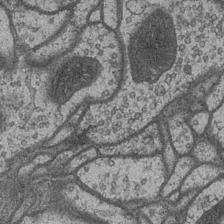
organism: Drosophila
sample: Optic medulla